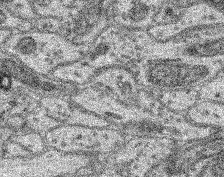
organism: Mouse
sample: Retina